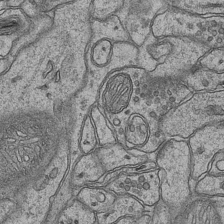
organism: Mouse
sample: CA1 Hippocampus